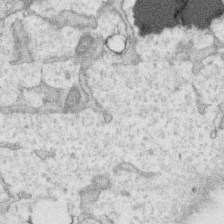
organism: Human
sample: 1205lu cells